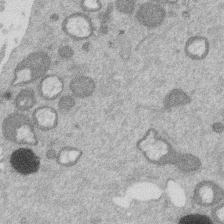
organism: Mouse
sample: Dividing mouse embryo 1 cell stage